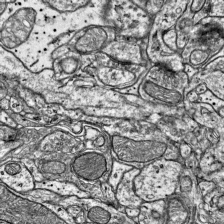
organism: Mouse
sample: Visual Cortex